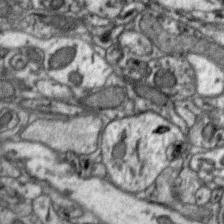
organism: Zebra finch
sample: Brain